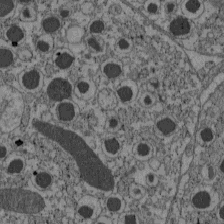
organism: C57BL Mouse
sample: Pancreatic islet